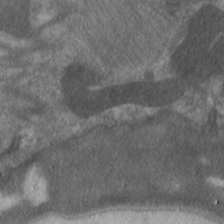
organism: C. elegans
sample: Pharynx